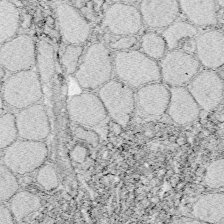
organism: Zebrafish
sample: Whole-Brain